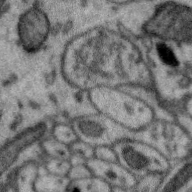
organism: Zebra finch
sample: Brain